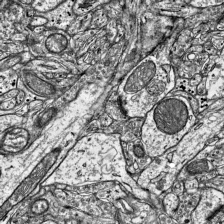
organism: Mouse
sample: Visual Cortex